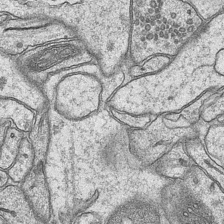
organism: Mouse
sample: CA1 Hippocampus